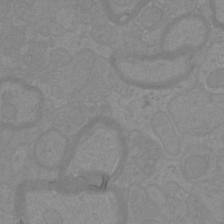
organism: Mouse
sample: Cortical neurons